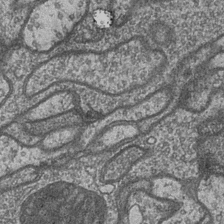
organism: Drosophila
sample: Optic medulla